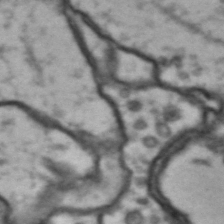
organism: Drosophila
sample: Brain